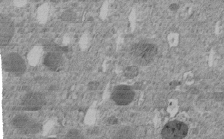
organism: C. elegans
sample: C. elegans embryo early stage